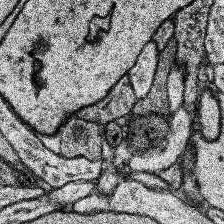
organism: Human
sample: Temporal Lobe